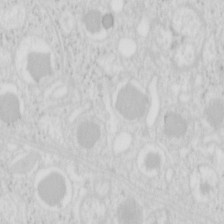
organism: Mouse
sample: Pancreas